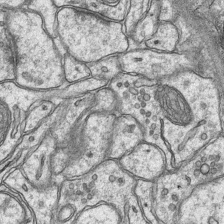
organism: Mouse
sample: CA1 Hippocampus